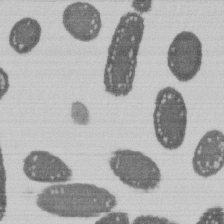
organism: E. coli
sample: Bacterial nucleoid